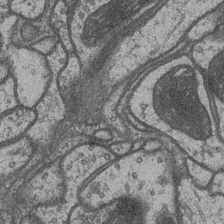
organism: Drosophila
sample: Optic medulla